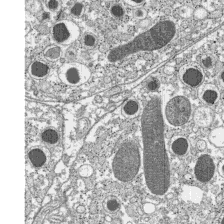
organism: C57BL Mouse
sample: Pancreatic islet